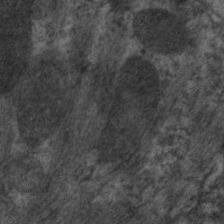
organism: C. elegans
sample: Pharynx